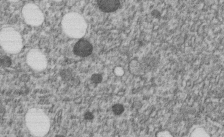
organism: C. elegans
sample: C. elegans embryo early stage